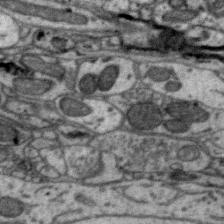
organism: Zebra finch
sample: Brain